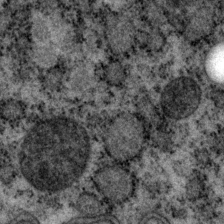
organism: P. pacificus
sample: Pharynx